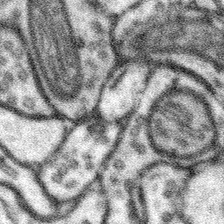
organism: Mouse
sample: Somatosensory cortex neuropil